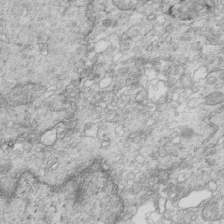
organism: Mouse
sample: Multiciliated cells